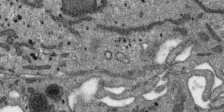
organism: Human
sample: Lung epithelial cells, uninfected (mock) control